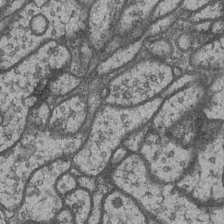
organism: Drosophila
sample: Optic medulla